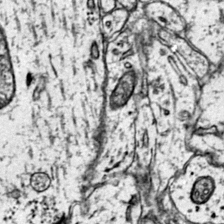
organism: Mouse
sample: Primary visual cortex